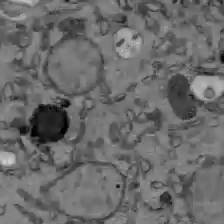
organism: C57BL Mouse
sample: Liver